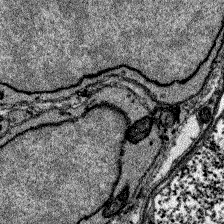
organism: Zebrafish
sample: Larval olfactory bulb